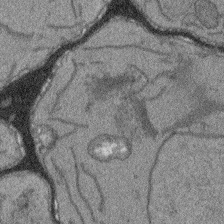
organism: Arabidopsis thaliana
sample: Root tip